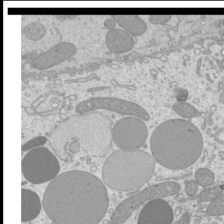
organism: Mouse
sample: Cilia; mouse epididymis